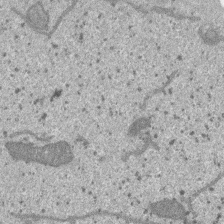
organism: Human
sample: Lung epithelial cells infected with SARS-CoV-2